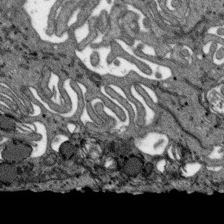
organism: Human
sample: Lung epithelial cells, uninfected (mock) control